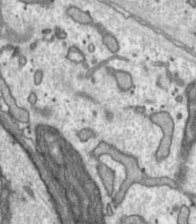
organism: Toxoplasma gondii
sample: Parasites in a vacuole inside a host cell